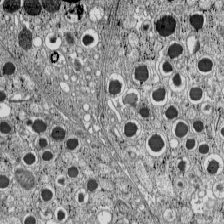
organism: C57BL Mouse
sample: Pancreatic islet